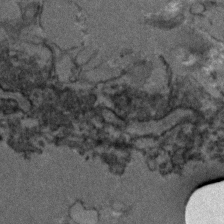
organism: Zebrafish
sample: Zebrafish embryo